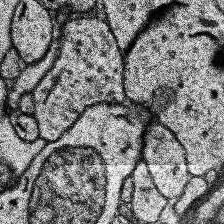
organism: Human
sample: Temporal Lobe